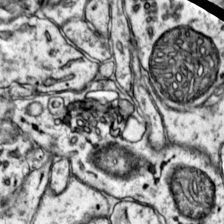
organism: Mouse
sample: Primary visual cortex